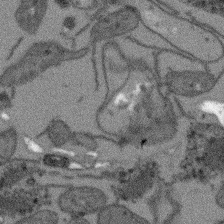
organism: Arabidopsis thaliana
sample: Root tip